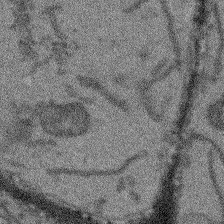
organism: Arabidopsis thaliana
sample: Root tip